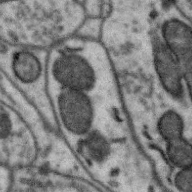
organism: Zebra finch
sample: Brain